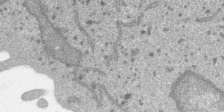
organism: Human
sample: Lung epithelial cells infected with SARS-CoV-2